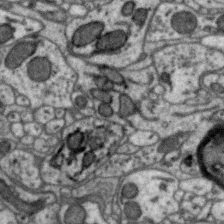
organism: Zebra finch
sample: Brain